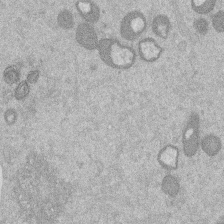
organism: Mouse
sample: Dividing mouse embryo 1 cell stage